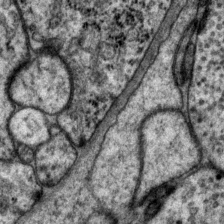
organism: P. pacificus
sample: Pharynx